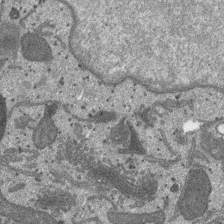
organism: Human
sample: Lung epithelial cells infected with SARS-CoV-2